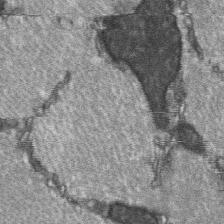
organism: C57BL Mouse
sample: Soleus